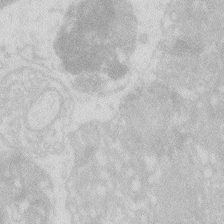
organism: Zebrafish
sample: Macrophage